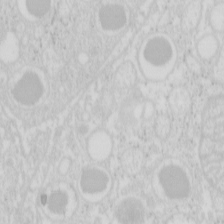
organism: Mouse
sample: Pancreas